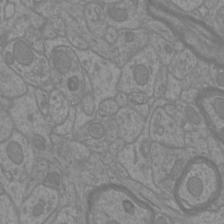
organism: Mouse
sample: Cortical neurons